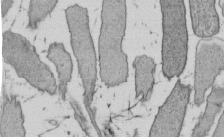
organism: E. coli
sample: Bacterial nucleoid